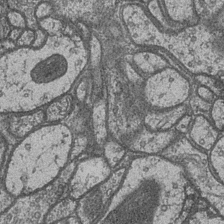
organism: Drosophila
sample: Optic medulla